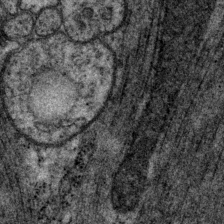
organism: P. pacificus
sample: Pharynx